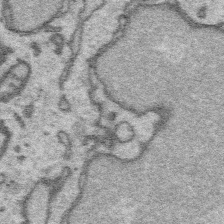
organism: Platynereis dumerilii